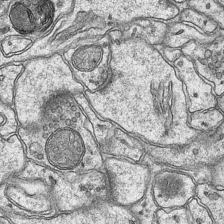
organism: Mouse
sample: CA1 Hippocampus